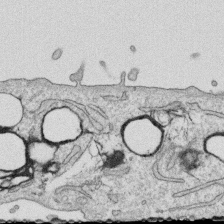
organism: Human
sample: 1205lu cells